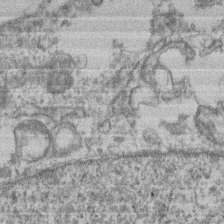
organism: Mouse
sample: T cell stromal cell synapse